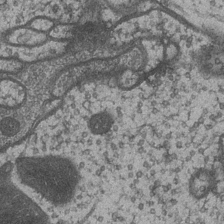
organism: Drosophila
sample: Optic medulla